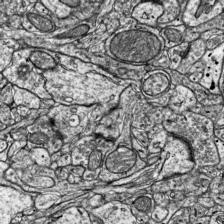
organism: Mouse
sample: Visual Cortex